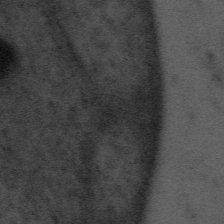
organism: Tuwongella immobilis